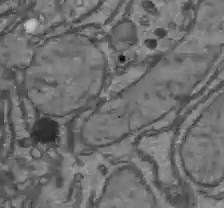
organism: C57BL Mouse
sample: Liver